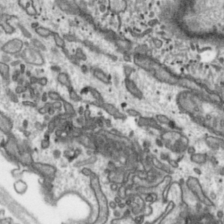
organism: Toxoplasma gondii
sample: Parasites in a vacuole inside a host cell